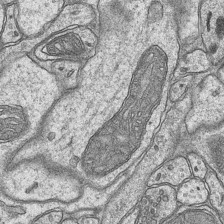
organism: Mouse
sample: CA1 Hippocampus